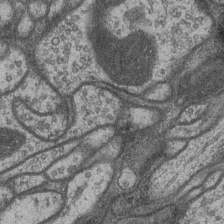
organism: Drosophila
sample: Optic medulla